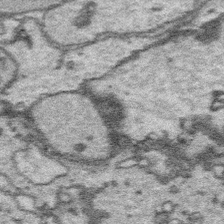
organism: Platynereis dumerilii